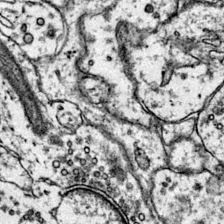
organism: Mouse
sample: Primary visual cortex